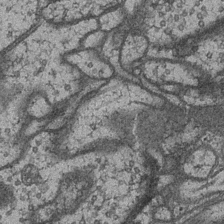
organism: Drosophila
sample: Optic medulla